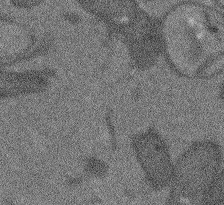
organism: Arabidopsis thaliana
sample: Root tip